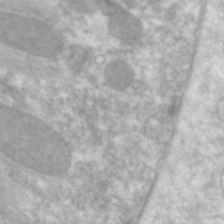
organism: C. elegans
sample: Pharynx